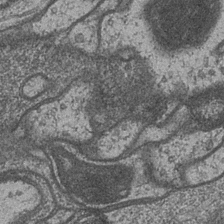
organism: Drosophila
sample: Optic medulla